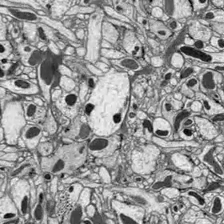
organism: Drosophila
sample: Optic lobe